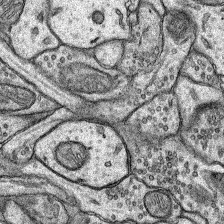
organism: Rat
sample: Hippocampus